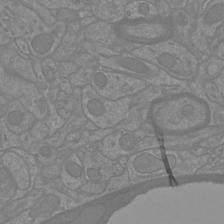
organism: Mouse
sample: Cortical neurons